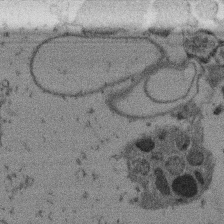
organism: Mouse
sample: Dividing mouse embryo 1 cell stage